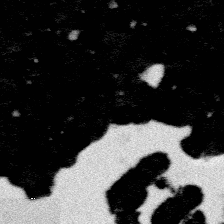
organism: Platynereis dumerilii